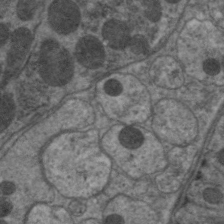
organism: C. elegans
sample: Pharynx